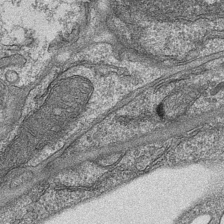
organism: Mouse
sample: CA1 Hippocampus